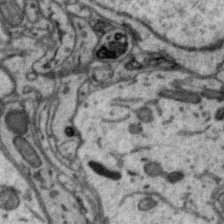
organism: Zebra finch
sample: Brain